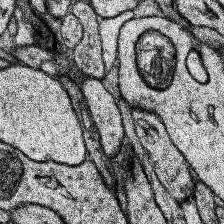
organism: Human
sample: Temporal Lobe